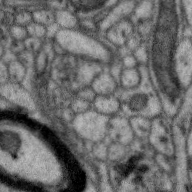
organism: Zebra finch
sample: Brain